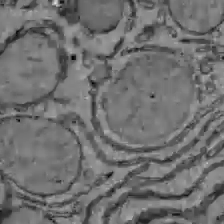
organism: C57BL Mouse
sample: Liver